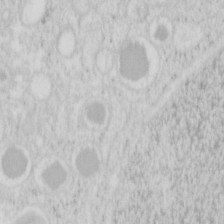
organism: Mouse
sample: Pancreas